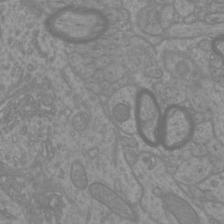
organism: Mouse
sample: Cortical neurons